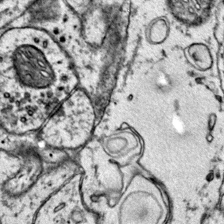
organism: Mouse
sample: Primary visual cortex